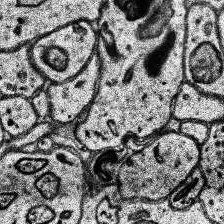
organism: Human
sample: Temporal Lobe